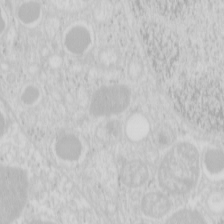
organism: Mouse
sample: Pancreas